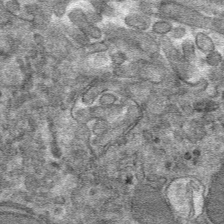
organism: Mouse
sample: Mouse hepatocytes